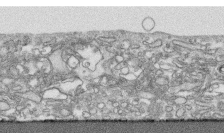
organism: Human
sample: CRL-1474